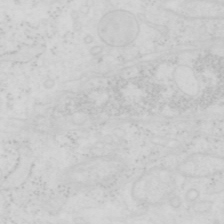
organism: Human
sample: SUM-159 cell